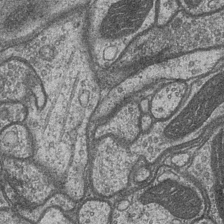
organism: Drosophila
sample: Optic medulla